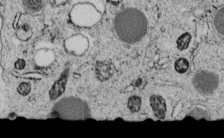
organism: C. elegans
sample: C. elegans embryo early stage